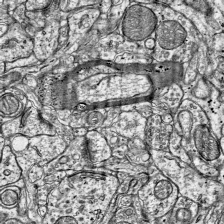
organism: Mouse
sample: Visual Cortex